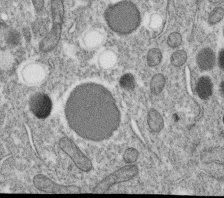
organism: C. elegans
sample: C. elegans oocyte; sperm cells